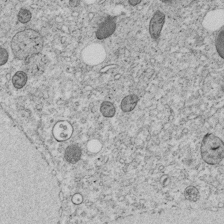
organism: C. elegans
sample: C. elegans embryo early stage